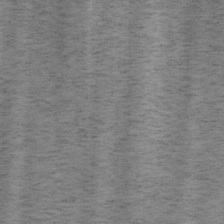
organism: Mouse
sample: OT-I killer T cells with ID8 ovarian cancer cells